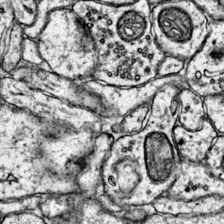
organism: Mouse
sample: Primary visual cortex